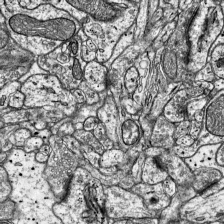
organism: Mouse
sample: Visual Cortex